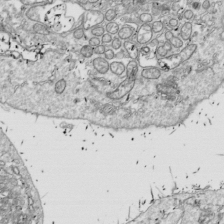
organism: Drosophila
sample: Cell division; meiosis; drosophila spermatocytes